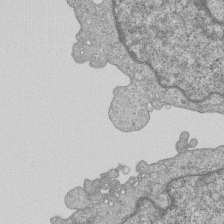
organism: Human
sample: MDA-MB-231 cells